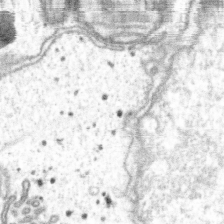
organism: Human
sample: HeLa cells